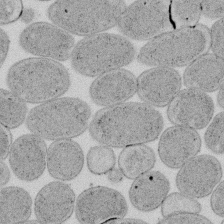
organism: E. coli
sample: Bacterial nucleoid